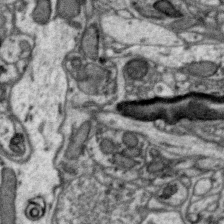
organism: Zebra finch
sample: Brain